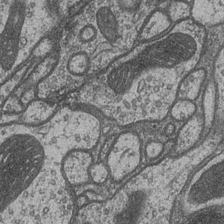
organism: Drosophila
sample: Optic medulla